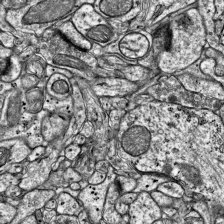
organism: Mouse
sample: Visual Cortex